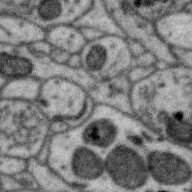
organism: Zebra finch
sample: Brain